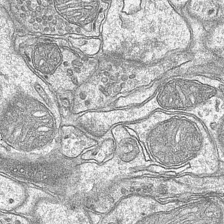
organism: Mouse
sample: CA1 Hippocampus